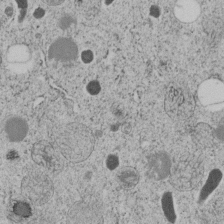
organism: C. elegans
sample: C. elegans embryo early stage